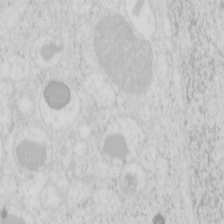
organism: Mouse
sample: Pancreas